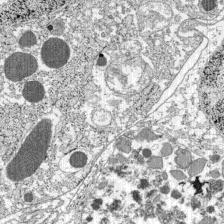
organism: C57BL Mouse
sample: Pancreatic islet